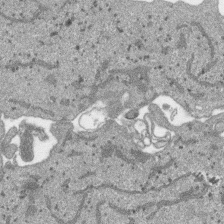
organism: Human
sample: Lung epithelial cells infected with SARS-CoV-2